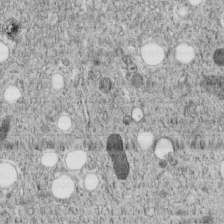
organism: C. elegans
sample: C. elegans embryo early stage